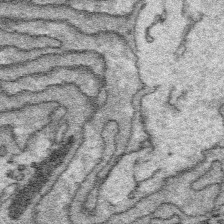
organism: Platynereis dumerilii